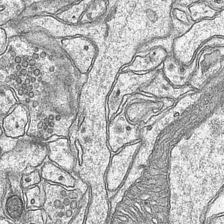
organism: Mouse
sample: CA1 Hippocampus